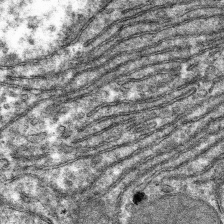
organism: Mouse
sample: Mouse hepatocytes